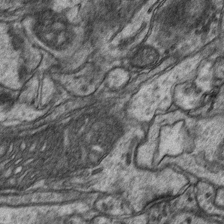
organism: Mouse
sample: CA1 Hippocampus